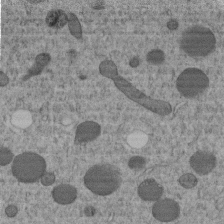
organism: C. elegans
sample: C. elegans embryo early stage